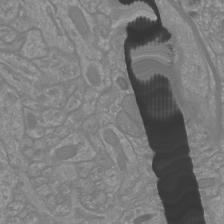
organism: Mouse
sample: Cortical neurons